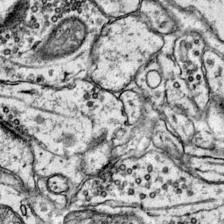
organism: Mouse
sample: Primary visual cortex